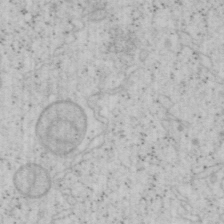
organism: Human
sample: HeLa cells